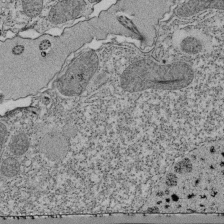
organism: Tetrahymena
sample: Cilia in tetrahymena